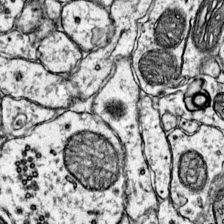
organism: Mouse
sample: Primary visual cortex